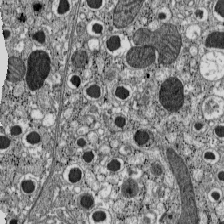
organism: C57BL Mouse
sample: Pancreatic islet